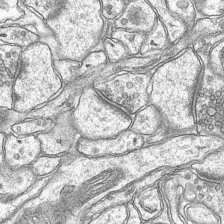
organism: Mouse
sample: CA1 Hippocampus